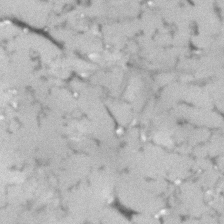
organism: Human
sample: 1205lu cells